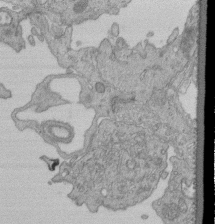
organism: Human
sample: Retinal organoid Rod and Cone cells